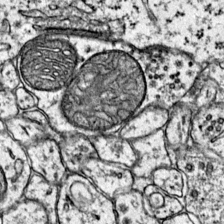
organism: Mouse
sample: Primary visual cortex